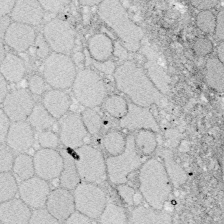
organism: Zebrafish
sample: Whole-Brain